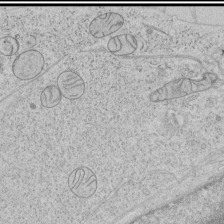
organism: Human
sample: Mitochondria in HCT116 cells